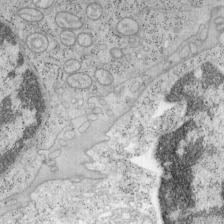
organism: Mouse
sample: OT-I killer T cells with ID8 ovarian cancer cells